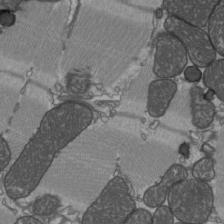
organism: C57BL Mouse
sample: Heart